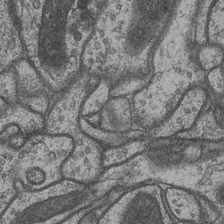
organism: Drosophila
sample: Optic medulla